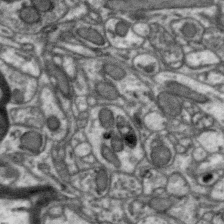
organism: Zebra finch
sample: Brain